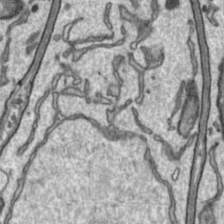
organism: Toxoplasma gondii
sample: Parasites in a vacuole inside a host cell